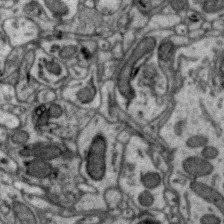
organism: Zebra finch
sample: Brain